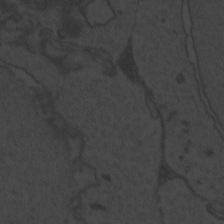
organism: Zebrafish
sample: Macrophage infected with Toxoplasma gondii